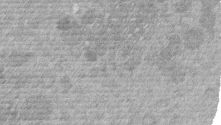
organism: Mouse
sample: Dividing mouse embryo 1 cell stage